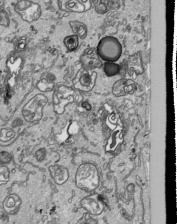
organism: Human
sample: Mitochondria in HCT116 cells